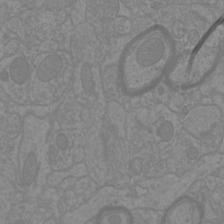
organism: Mouse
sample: Cortical neurons